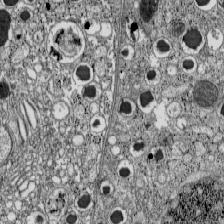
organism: C57BL Mouse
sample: Pancreatic islet